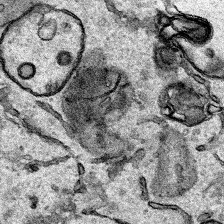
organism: Human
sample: Mitochondria in HCT116 cells